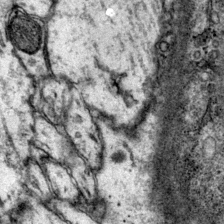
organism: Mouse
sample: Primary visual cortex